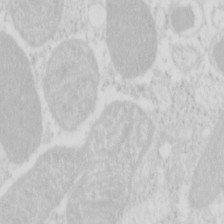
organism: Mouse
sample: Pancreas